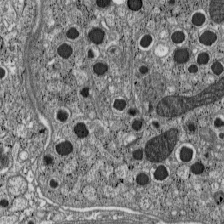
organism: C57BL Mouse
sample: Pancreatic islet